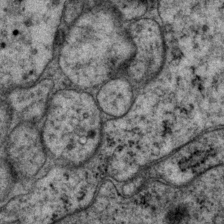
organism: P. pacificus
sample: Pharynx